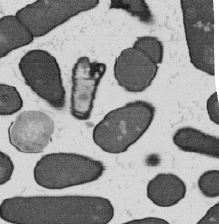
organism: B. subtilis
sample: Bacterial spore